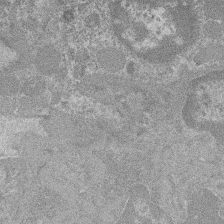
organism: Mouse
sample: Glomerulus